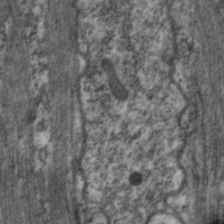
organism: C. elegans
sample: Pharynx